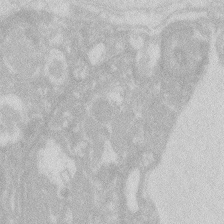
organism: Zebrafish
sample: Macrophage